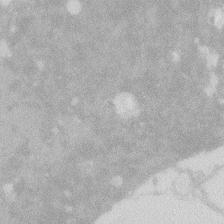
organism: Zebrafish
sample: Macrophage